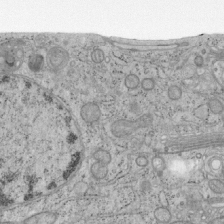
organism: Human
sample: HeLa cells